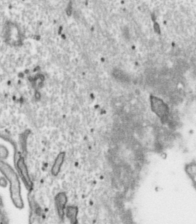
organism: Toxoplasma gondii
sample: Parasites in a vacuole inside a host cell